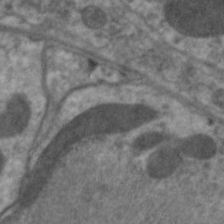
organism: C. elegans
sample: Pharynx